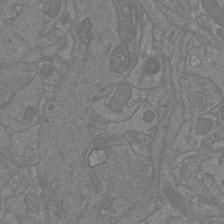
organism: Mouse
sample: Cortical neurons